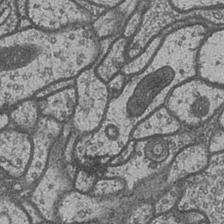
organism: Drosophila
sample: Optic medulla